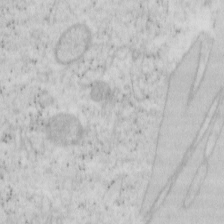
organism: Human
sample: HeLa cells